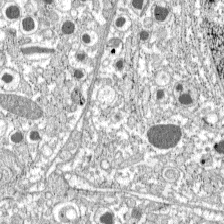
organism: C57BL Mouse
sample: Pancreatic islet